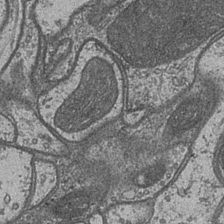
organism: Drosophila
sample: Optic medulla